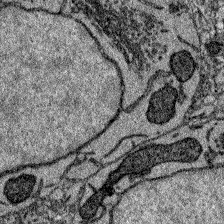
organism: Zebrafish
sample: Larval olfactory bulb